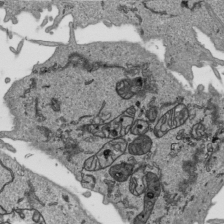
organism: Human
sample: Mitochondria in HCT116 cells